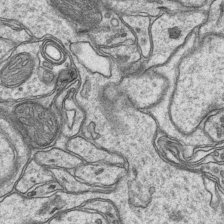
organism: Mouse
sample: CA1 Hippocampus